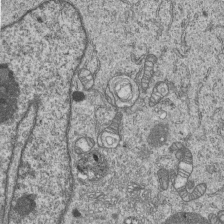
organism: Human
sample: MDA-MB-231 cells